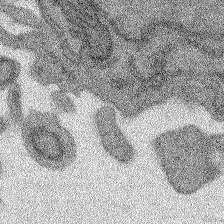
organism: Human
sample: HeLa cells